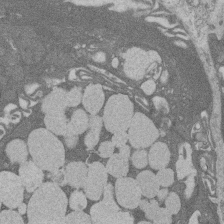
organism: Rat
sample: Salivary granule